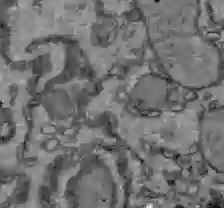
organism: C57BL Mouse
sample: Liver